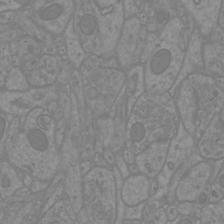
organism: Mouse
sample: Cortical neurons